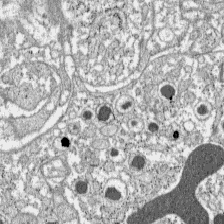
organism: C57BL Mouse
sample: Pancreatic islet